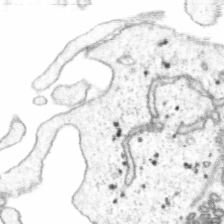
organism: Human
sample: HeLa cells